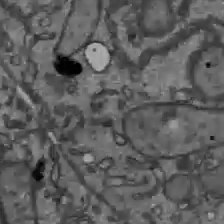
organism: C57BL Mouse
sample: Liver